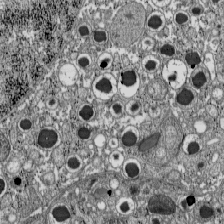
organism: C57BL Mouse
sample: Pancreatic islet